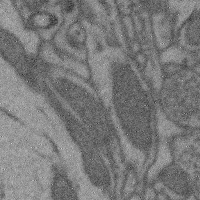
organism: Mouse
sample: Cerebral cortex